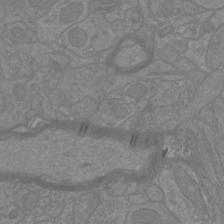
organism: Mouse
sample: Cortical neurons